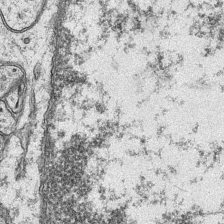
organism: Mouse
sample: CA1 Hippocampus